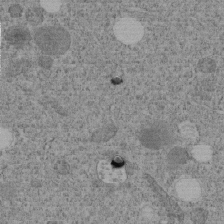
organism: C. elegans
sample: C. elegans embryo early stage